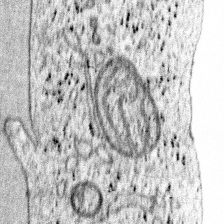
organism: Human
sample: HeLa cells